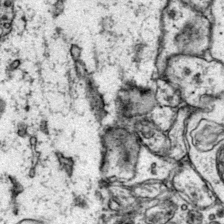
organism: Mouse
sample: Primary visual cortex